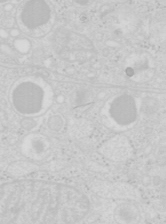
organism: Mouse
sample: Pancreas